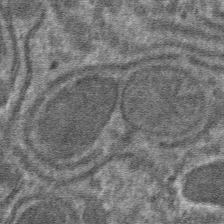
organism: Mouse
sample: Mouse hepatocytes